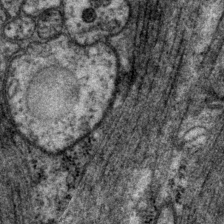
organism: P. pacificus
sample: Pharynx